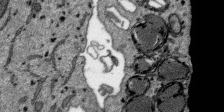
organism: Human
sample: Lung epithelial cells, uninfected (mock) control